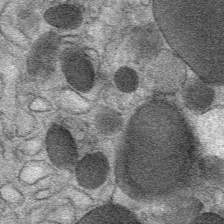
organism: Mouse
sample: Mouse Salivary gland